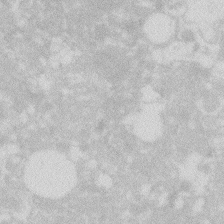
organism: Zebrafish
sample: Macrophage